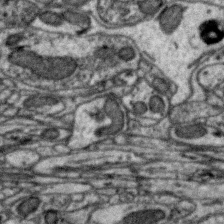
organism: Zebra finch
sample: Brain